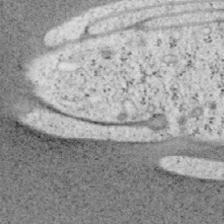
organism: Mouse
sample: OT-I killer T cells with ID8 ovarian cancer cells